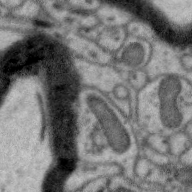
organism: Zebra finch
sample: Brain